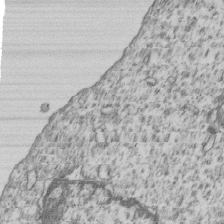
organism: Human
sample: MDA-MB-231 cells